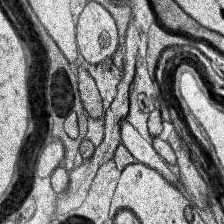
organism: Human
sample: Temporal Lobe